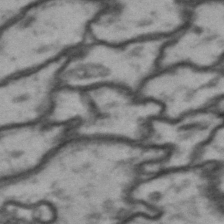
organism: Drosophila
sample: Brain